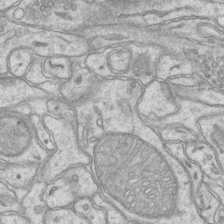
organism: Mouse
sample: CA1 Hippocampus